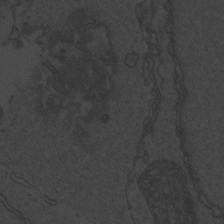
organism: Zebrafish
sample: Macrophage infected with Toxoplasma gondii